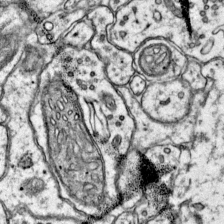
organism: Mouse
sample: Primary visual cortex